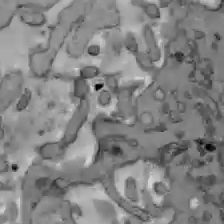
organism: C57BL Mouse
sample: Liver